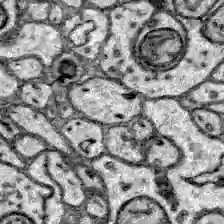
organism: Zebrafish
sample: Brain